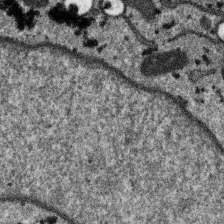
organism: Human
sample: Lung epithelial cells infected with SARS-CoV-2